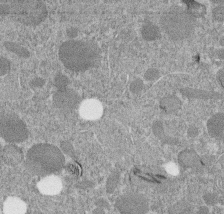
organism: C. elegans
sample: C. elegans embryo early stage